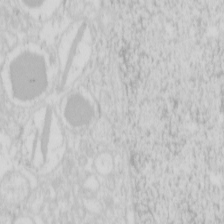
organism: Mouse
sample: Pancreas